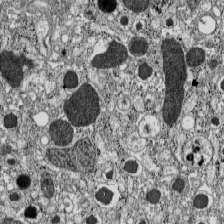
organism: C57BL Mouse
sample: Pancreatic islet